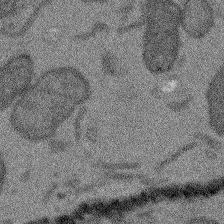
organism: Arabidopsis thaliana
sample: Root tip